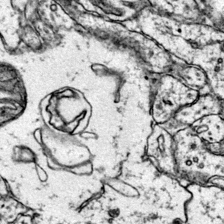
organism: Mouse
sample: Primary visual cortex